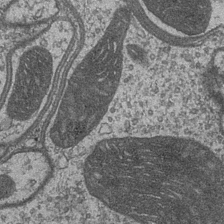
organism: Drosophila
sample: Optic medulla